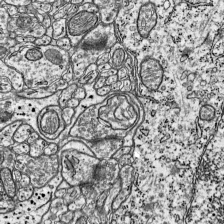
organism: Mouse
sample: Visual Cortex